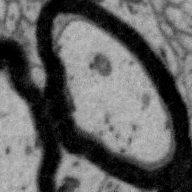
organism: Zebra finch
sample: Brain